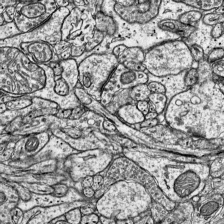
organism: Mouse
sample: Visual Cortex